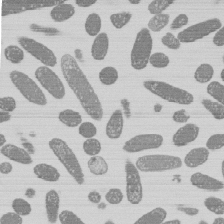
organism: E. coli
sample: Bacterial nucleoid